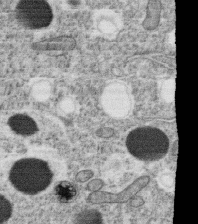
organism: C. elegans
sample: C. elegans oocyte; sperm cells